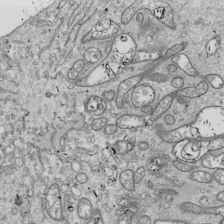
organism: Drosophila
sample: Cell division; meiosis; drosophila spermatocytes